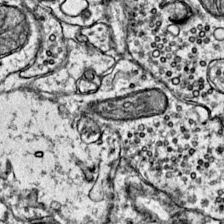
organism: Mouse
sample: Primary visual cortex